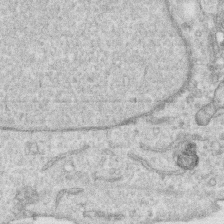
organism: Human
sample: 1205lu cells